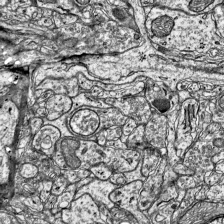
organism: Mouse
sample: Visual Cortex